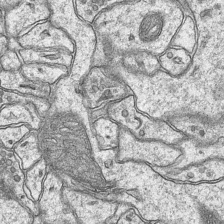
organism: Mouse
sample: CA1 Hippocampus